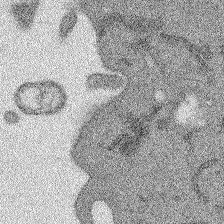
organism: Human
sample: HeLa cells